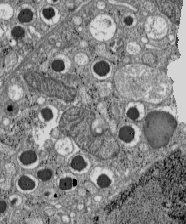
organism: C57BL Mouse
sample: Pancreatic islet